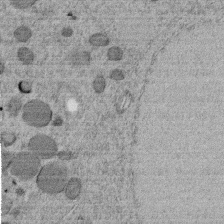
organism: C. elegans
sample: C. elegans embryo early stage